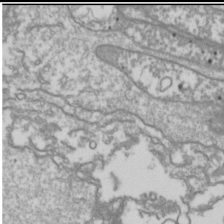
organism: Drosophila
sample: Cell division; meiosis; drosophila spermatocytes